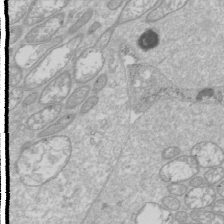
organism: Drosophila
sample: Cell division; meiosis; drosophila spermatocytes